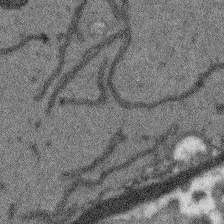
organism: Arabidopsis thaliana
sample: Root tip